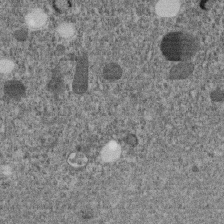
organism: C. elegans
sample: C. elegans embryo early stage